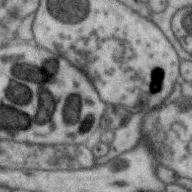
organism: Zebra finch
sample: Brain